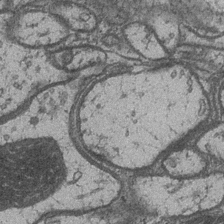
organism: Drosophila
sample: Optic medulla